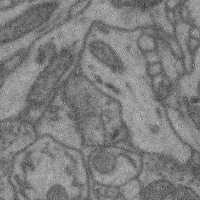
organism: Mouse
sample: Cerebral cortex